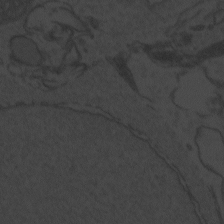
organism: Zebrafish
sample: Macrophage infected with Toxoplasma gondii